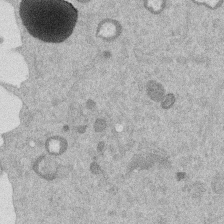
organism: Mouse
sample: Dividing mouse embryo 1 cell stage